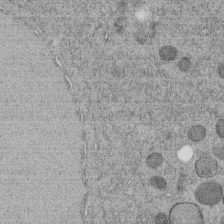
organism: C. elegans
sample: C. elegans embryo early stage